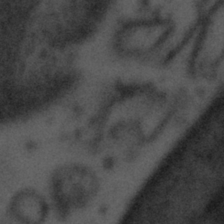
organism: Tuwongella immobilis